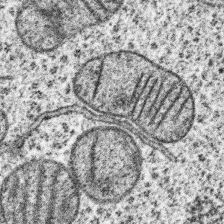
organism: Human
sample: HeLa cells